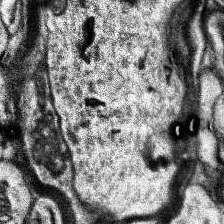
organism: Human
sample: Temporal Lobe